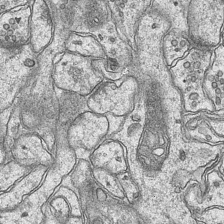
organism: Mouse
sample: CA1 Hippocampus